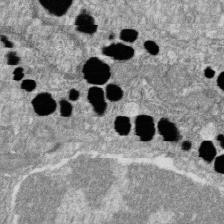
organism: Zebrafish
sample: Cilia; retinal pigment epithelium